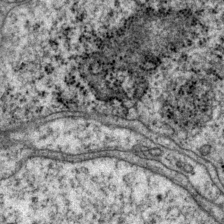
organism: P. pacificus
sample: Pharynx